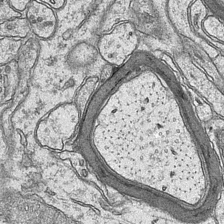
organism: Mouse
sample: CA1 Hippocampus